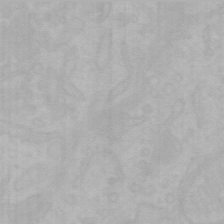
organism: Mouse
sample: Choroid plexus